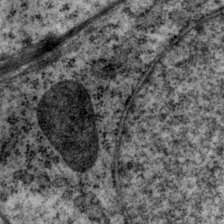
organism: P. pacificus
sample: Pharynx